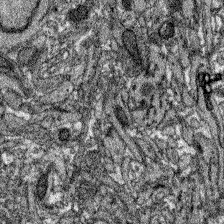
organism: Zebrafish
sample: Larval olfactory bulb